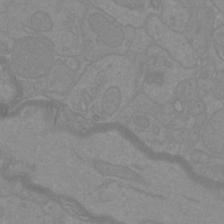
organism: Mouse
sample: Cortical neurons